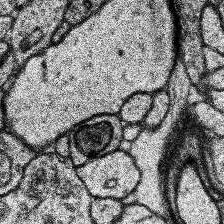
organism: Human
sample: Temporal Lobe